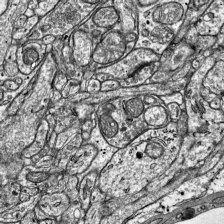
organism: Mouse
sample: Visual Cortex